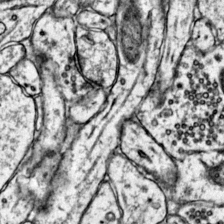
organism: Mouse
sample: Primary visual cortex